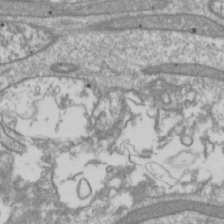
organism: Drosophila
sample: Cell division; meiosis; drosophila spermatocytes